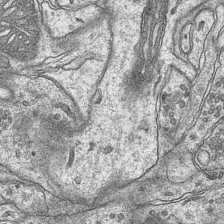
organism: Mouse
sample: CA1 Hippocampus